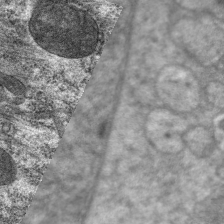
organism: C. elegans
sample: Pharynx